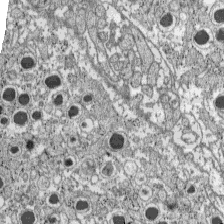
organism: C57BL Mouse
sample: Pancreatic islet